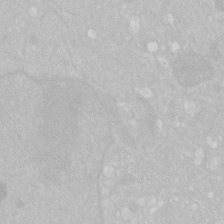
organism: Human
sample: HIV infected U937 cells